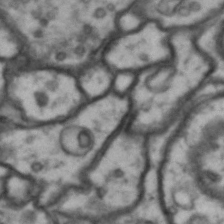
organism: Drosophila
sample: Brain